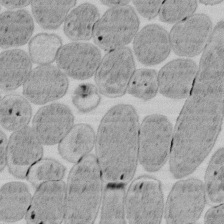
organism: E. coli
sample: Bacterial nucleoid